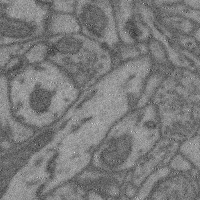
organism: Mouse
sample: Cerebral cortex